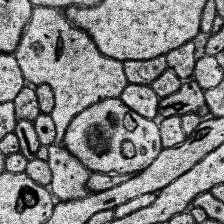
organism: Human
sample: Temporal Lobe